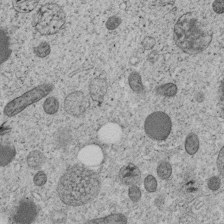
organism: C. elegans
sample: C. elegans embryo early stage